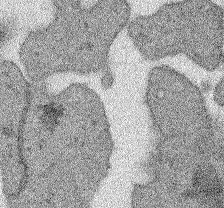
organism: Human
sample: HeLa cells